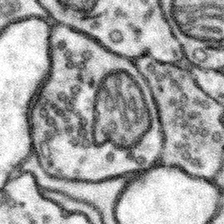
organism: Mouse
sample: Somatosensory cortex neuropil